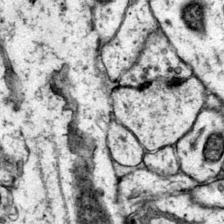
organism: Mouse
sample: Primary visual cortex